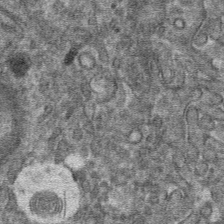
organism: Mouse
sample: Mouse hepatocytes